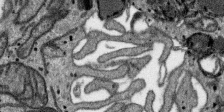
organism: Human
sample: Lung epithelial cells, uninfected (mock) control